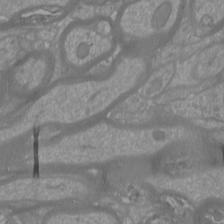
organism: Mouse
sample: Cortical neurons